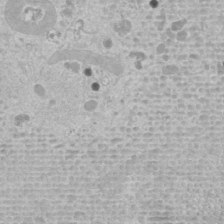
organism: Human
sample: Mitochondria in U2OS cells